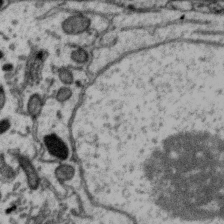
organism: Zebra finch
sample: Brain